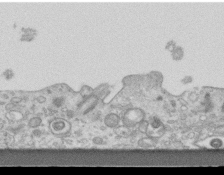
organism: Mouse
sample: Centriole in ependymal cells